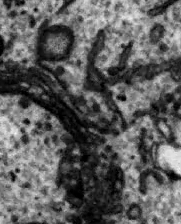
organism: Human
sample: HeLa cells